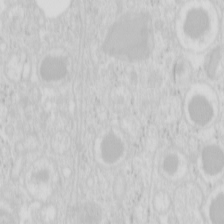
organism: Mouse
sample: Pancreas